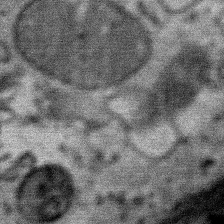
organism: Mouse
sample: Mouse Salivary gland